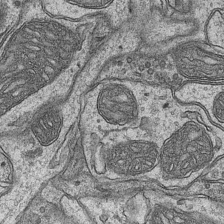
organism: Mouse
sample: CA1 Hippocampus